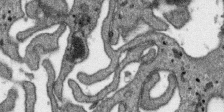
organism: Human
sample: Lung epithelial cells, uninfected (mock) control